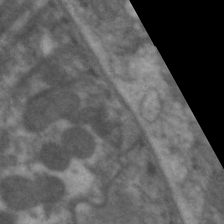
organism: C. elegans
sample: Pharynx